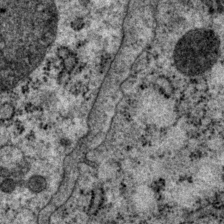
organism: P. pacificus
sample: Pharynx